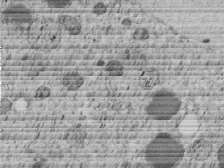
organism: C. elegans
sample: C. elegans embryo early stage